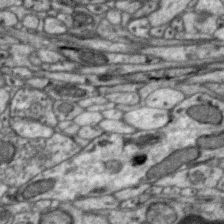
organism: Zebra finch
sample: Brain